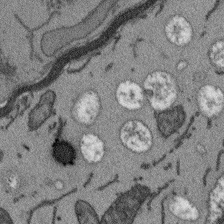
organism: Arabidopsis thaliana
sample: Root tip